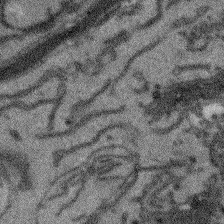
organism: Arabidopsis thaliana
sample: Root tip